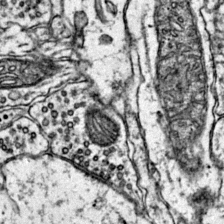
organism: Mouse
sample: Primary visual cortex